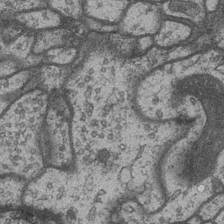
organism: Drosophila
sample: Optic medulla